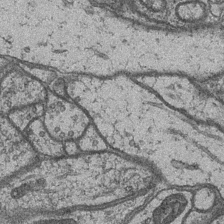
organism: Drosophila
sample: Optic medulla